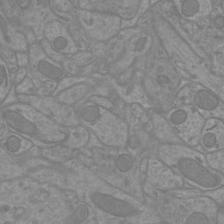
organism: Mouse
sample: Cortical neurons